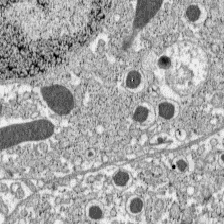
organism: C57BL Mouse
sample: Pancreatic islet